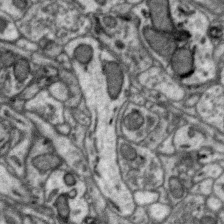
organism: Zebra finch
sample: Brain